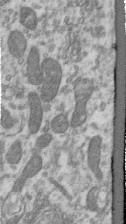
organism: Human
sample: Centriole in RPE cells